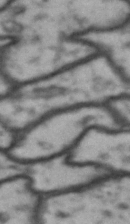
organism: Drosophila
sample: Brain